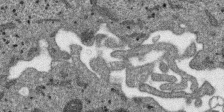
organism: Human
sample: Lung epithelial cells infected with SARS-CoV-2